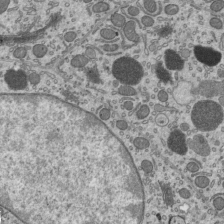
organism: Mouse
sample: Mouse epididymis efferent ductule cilia